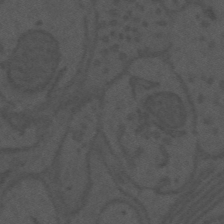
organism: Mouse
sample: Suprachiasmatic nucleus